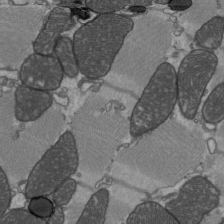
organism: C57BL Mouse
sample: Heart